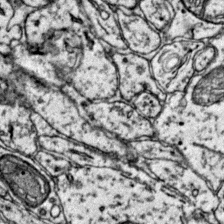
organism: Mouse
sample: Primary visual cortex